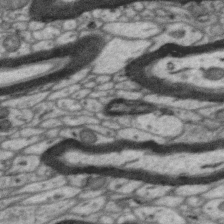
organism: Zebra finch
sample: Brain